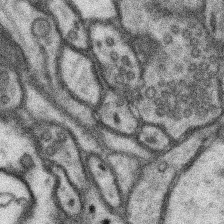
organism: Mouse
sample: Somatosensory cortex neuropil